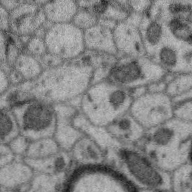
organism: Zebra finch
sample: Brain